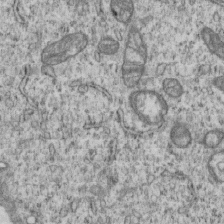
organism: Human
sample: MDA-MB-231 cells